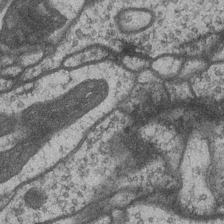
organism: Drosophila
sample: Optic medulla